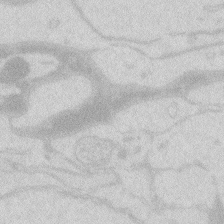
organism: Zebrafish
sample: Macrophage